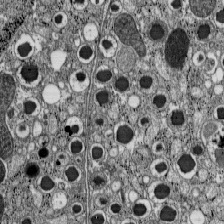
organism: C57BL Mouse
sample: Pancreatic islet